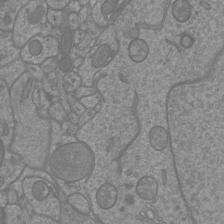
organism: Mouse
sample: Cortical neurons